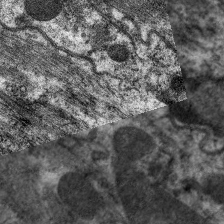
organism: C. elegans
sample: Pharynx